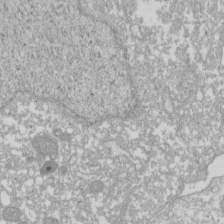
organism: Xenopus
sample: Cilia; centrioles in frog embryo cells